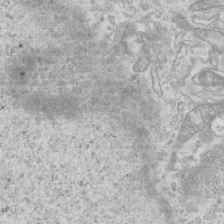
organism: Mouse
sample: Centriole in ependymal cells